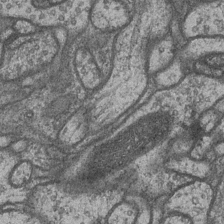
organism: Drosophila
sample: Optic medulla